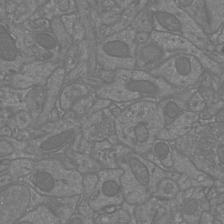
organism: Mouse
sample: Cortical neurons